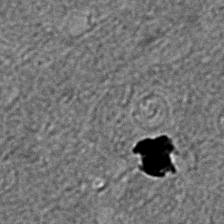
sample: Trachea